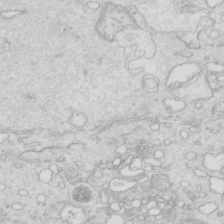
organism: Mouse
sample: Multiciliated cells